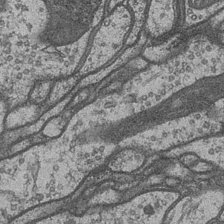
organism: Drosophila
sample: Optic medulla